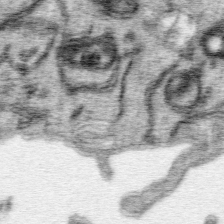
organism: Human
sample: HeLa cells